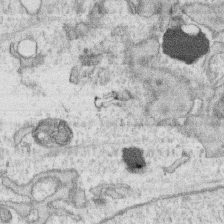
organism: Human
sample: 1205lu cells